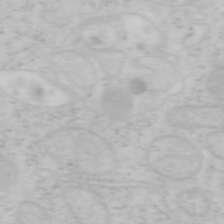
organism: Mouse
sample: OT-I killer T cells with ID8 ovarian cancer cells